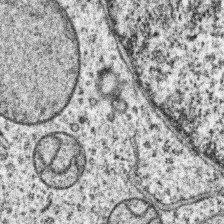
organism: Human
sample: HeLa cells